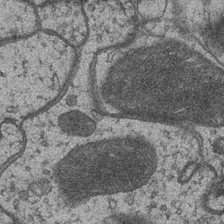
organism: Drosophila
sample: Optic medulla